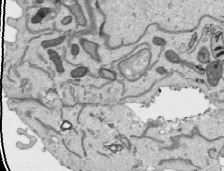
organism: Human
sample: Mitochondria in HCT116 cells